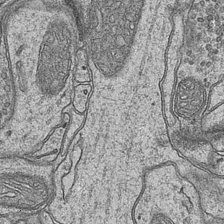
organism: Mouse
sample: CA1 Hippocampus